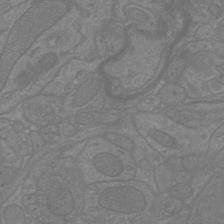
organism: Mouse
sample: Cortical neurons